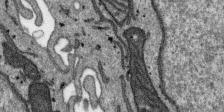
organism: Human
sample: Lung epithelial cells, uninfected (mock) control